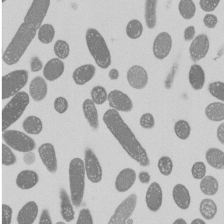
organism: E. coli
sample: Bacterial nucleoid